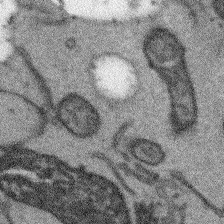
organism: Arabidopsis thaliana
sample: Root tip